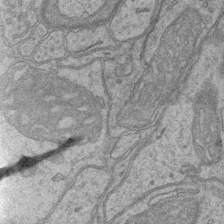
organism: Mouse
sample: CA1 Hippocampus